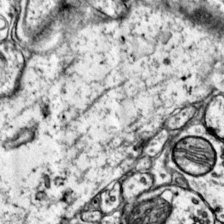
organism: Mouse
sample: Primary visual cortex